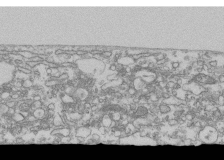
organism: Human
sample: Fibroblast cells